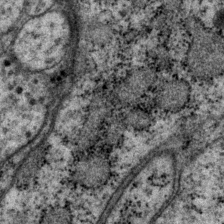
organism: P. pacificus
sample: Pharynx